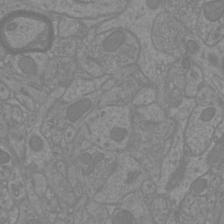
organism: Mouse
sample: Cortical neurons